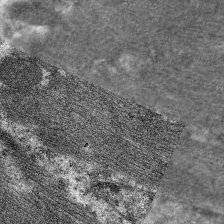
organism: C. elegans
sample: Pharynx